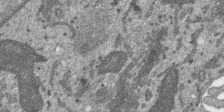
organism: Human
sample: Lung epithelial cells infected with SARS-CoV-2